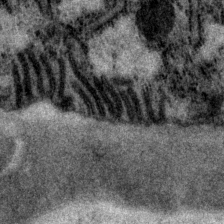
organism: P. pacificus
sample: Pharynx